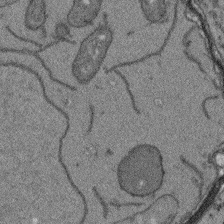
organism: Arabidopsis thaliana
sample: Root tip